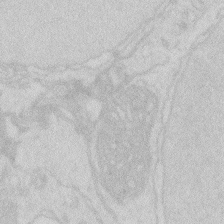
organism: Zebrafish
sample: Macrophage